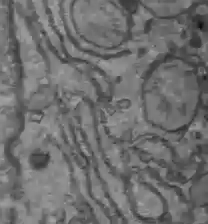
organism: C57BL Mouse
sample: Liver